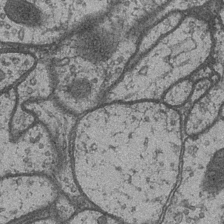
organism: Drosophila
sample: Optic medulla